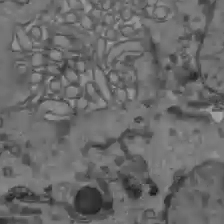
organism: C57BL Mouse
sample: Liver